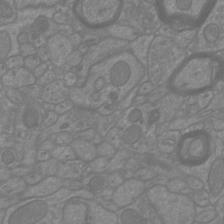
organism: Mouse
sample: Cortical neurons